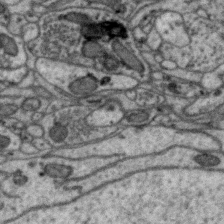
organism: Zebra finch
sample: Brain